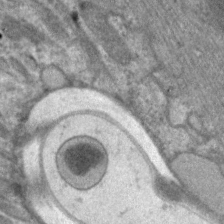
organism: C. elegans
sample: Pharynx